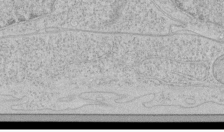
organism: Human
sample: Mitochondria in HCT116 cells